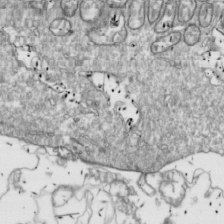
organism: Drosophila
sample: Cell division; meiosis; drosophila spermatocytes